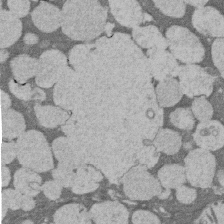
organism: Rat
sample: Salivary granule